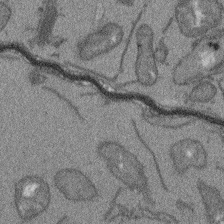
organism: Arabidopsis thaliana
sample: Root tip